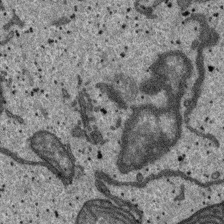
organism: Human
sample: Lung epithelial cells, uninfected (mock) control